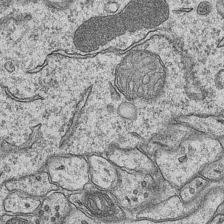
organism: Mouse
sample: CA1 Hippocampus